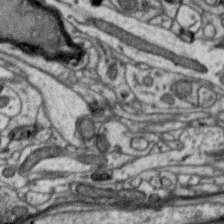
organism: Zebra finch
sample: Brain